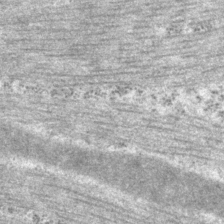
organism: P. pacificus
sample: Pharynx